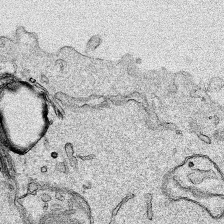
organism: Human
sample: Mitochondria in HCT116 cells